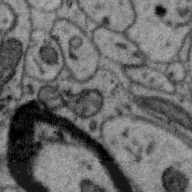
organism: Zebra finch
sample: Brain